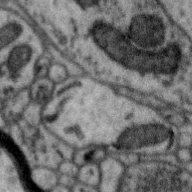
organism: Zebra finch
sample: Brain